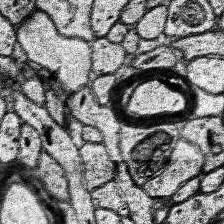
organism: Human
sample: Temporal Lobe